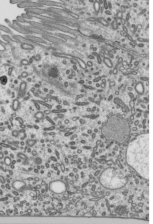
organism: Mouse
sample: Mouse epididymis efferent ductule cilia